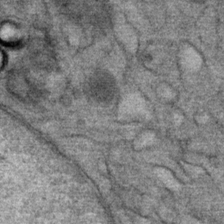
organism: Mouse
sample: Mouse Salivary gland